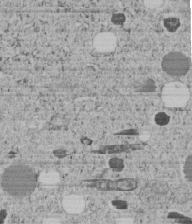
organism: C. elegans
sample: C. elegans embryo early stage